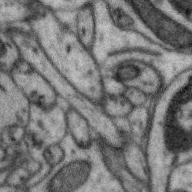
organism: Zebra finch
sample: Brain